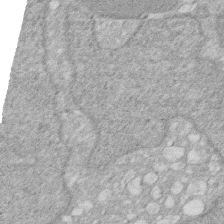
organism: Human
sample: HIV infected U937 cells